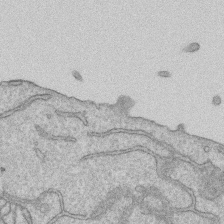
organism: Human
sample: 1205lu cells